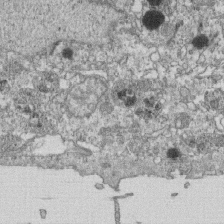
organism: Human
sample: HeLa cell HIV synapse